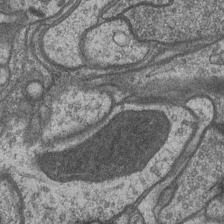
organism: Drosophila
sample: Optic medulla